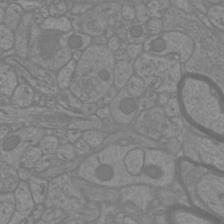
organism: Mouse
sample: Cortical neurons